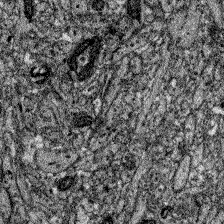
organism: Zebrafish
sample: Larval olfactory bulb